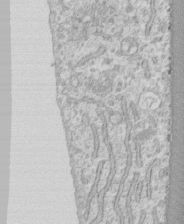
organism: Human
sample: CRL-1474